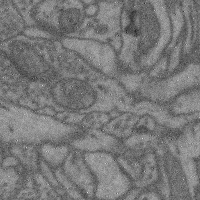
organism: Mouse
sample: Cerebral cortex